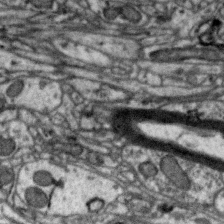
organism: Zebra finch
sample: Brain